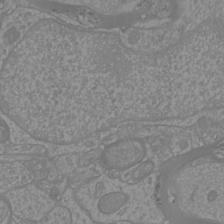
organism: Mouse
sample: Cortical neurons